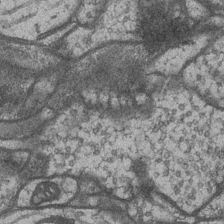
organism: Drosophila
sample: Optic medulla